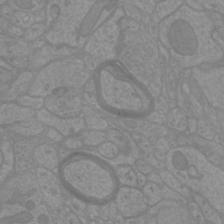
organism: Mouse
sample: Cortical neurons